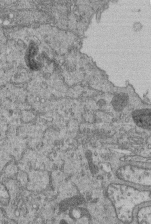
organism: Human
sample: Retinal organoid Rod and Cone cells